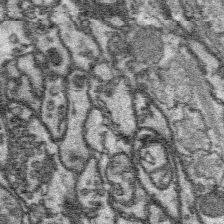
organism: Platynereis dumerilii